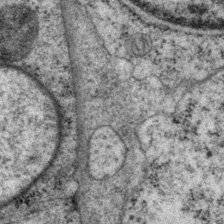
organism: P. pacificus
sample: Pharynx